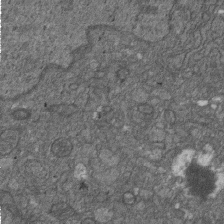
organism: Drosophila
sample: Nephrocyte